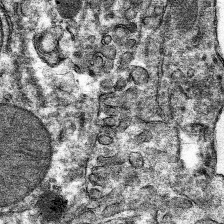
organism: Mouse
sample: Mouse hepatocytes